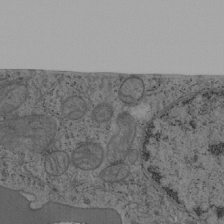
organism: Human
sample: HeLa cells